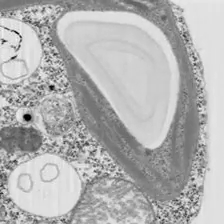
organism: Chlamydomonas reinhardtii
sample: Whole Cell